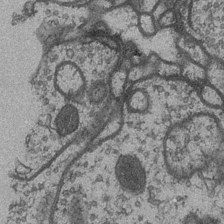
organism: Drosophila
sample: Optic medulla